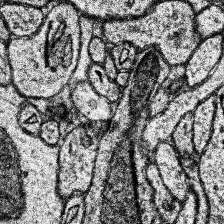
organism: Human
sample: Temporal Lobe